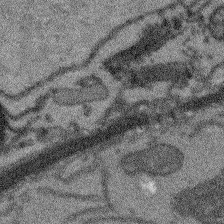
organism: Arabidopsis thaliana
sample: Root tip